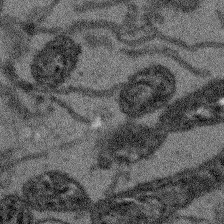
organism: Arabidopsis thaliana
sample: Root tip